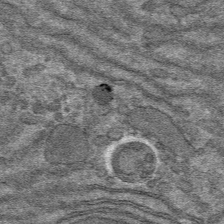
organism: Mouse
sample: Mouse hepatocytes